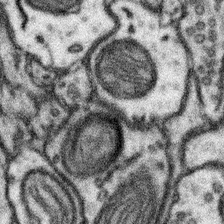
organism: Mouse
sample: Somatosensory cortex neuropil